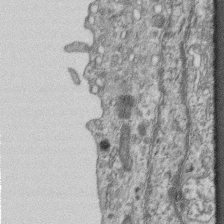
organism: Mouse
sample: Centriole in ependymal cells